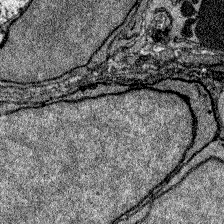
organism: Zebrafish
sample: Larval olfactory bulb